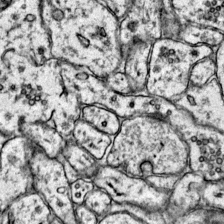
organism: Mouse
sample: Primary visual cortex